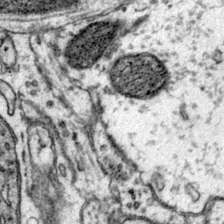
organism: Mouse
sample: Primary visual cortex